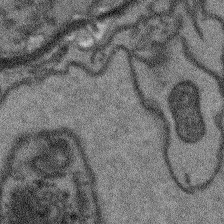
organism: Arabidopsis thaliana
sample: Root tip